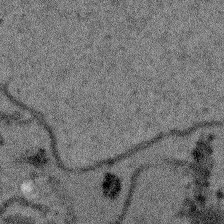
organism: Arabidopsis thaliana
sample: Root tip